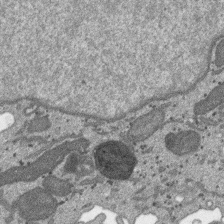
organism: Human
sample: Lung epithelial cells infected with SARS-CoV-2